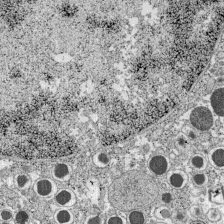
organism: C57BL Mouse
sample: Pancreatic islet